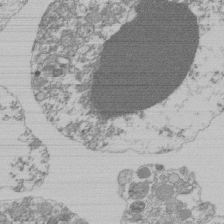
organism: Mouse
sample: Activated Pmel transgenic CD8+ T Cells